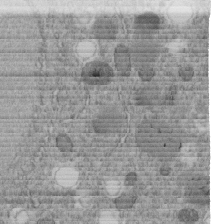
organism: C. elegans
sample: C. elegans embryo early stage